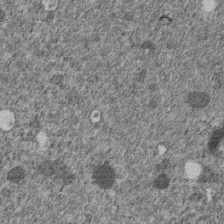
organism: C. elegans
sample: C. elegans embryo early stage